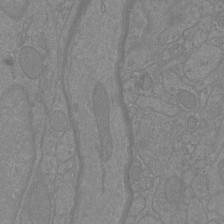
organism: Mouse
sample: Cortical neurons